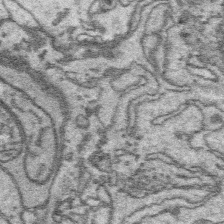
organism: Platynereis dumerilii